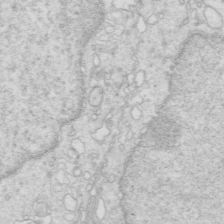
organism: Mouse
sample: Multiciliated cells